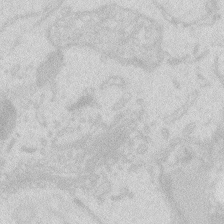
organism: Zebrafish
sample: Macrophage